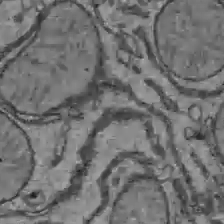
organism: C57BL Mouse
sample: Liver